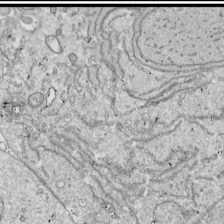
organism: Drosophila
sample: Cell division; meiosis; drosophila spermatocytes